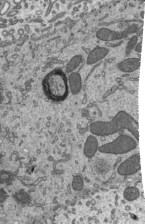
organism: Mouse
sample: Mouse epididymis efferent ductule cilia